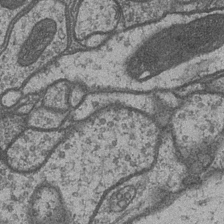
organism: Drosophila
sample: Optic medulla